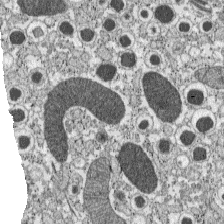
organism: C57BL Mouse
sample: Pancreatic islet